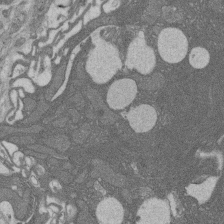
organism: Rat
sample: Salivary granule